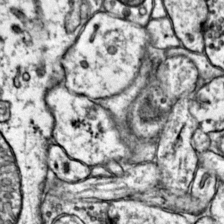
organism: Mouse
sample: Primary visual cortex